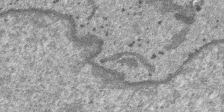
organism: Human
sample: Lung epithelial cells infected with SARS-CoV-2